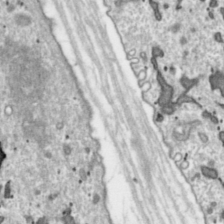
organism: Toxoplasma gondii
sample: Parasites in a vacuole inside a host cell